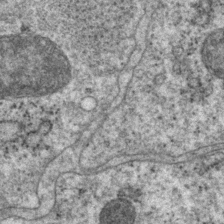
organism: P. pacificus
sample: Pharynx